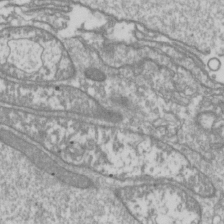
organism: Drosophila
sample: Cell division; meiosis; drosophila spermatocytes